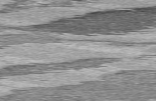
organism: C57BL Mouse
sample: Heart